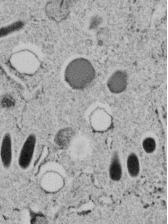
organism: C. elegans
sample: C. elegans embryo early stage